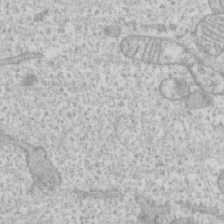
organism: Human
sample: CRL-1474